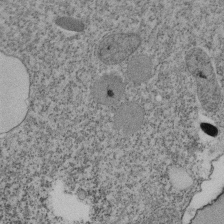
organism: Tetrahymena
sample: Cilia in tetrahymena